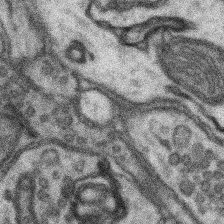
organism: Mouse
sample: Somatosensory cortex neuropil